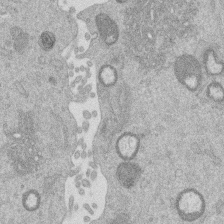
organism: Mouse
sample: Dividing mouse embryo 1 cell stage